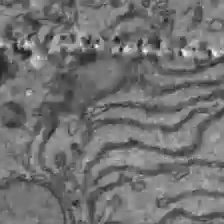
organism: C57BL Mouse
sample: Liver